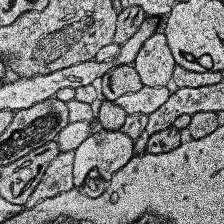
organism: Human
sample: Temporal Lobe